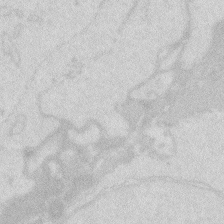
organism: Zebrafish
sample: Macrophage